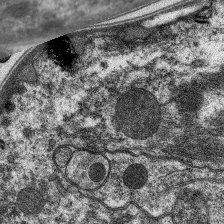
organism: C. elegans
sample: Pharynx